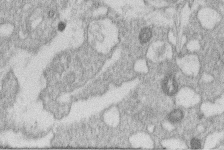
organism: Human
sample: Macrophage cells